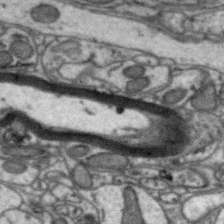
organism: Zebra finch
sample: Brain